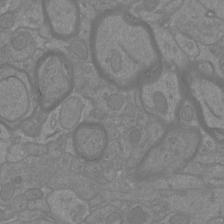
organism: Mouse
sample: Cortical neurons